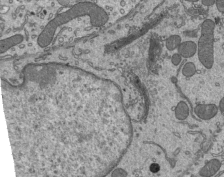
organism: Mouse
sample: Mouse epididymis efferent ductule cilia